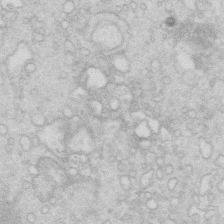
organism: Mouse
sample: Multiciliated cells